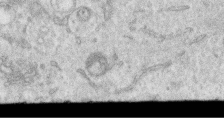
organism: Human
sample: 1205lu cells